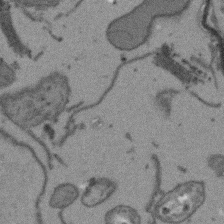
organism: Arabidopsis thaliana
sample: Root tip